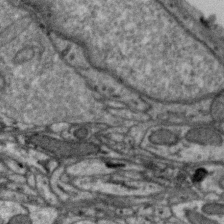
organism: Zebra finch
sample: Brain